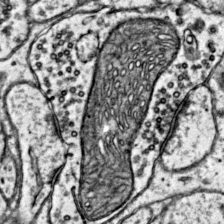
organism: Mouse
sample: Primary visual cortex